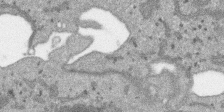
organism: Human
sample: Lung epithelial cells infected with SARS-CoV-2